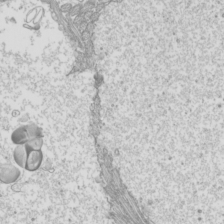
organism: Mouse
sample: Cilia; mouse epididymis